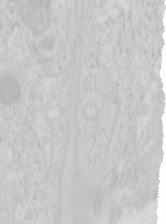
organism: Mouse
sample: Pancreas